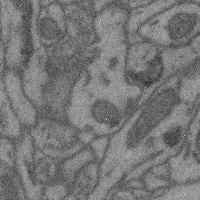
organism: Mouse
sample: Cerebral cortex